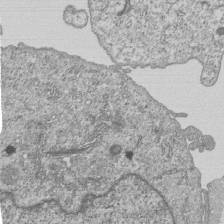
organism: Human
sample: MDA-MB-231 cells